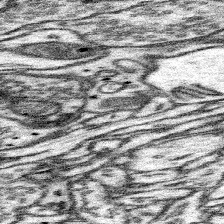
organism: Mouse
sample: Somatosensory cortex neuropil